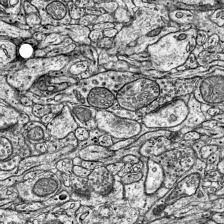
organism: Mouse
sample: Visual Cortex